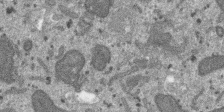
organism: Human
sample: Lung epithelial cells infected with SARS-CoV-2